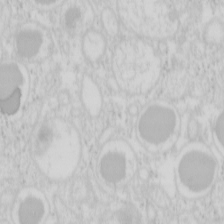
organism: Mouse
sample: Pancreas